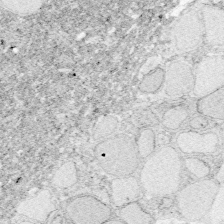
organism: Zebrafish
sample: Whole-Brain